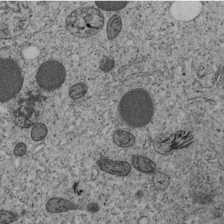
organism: C. elegans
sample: C. elegans embryo early stage